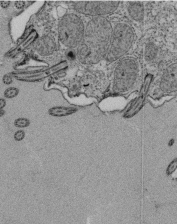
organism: Tetrahymena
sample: Cilia in tetrahymena